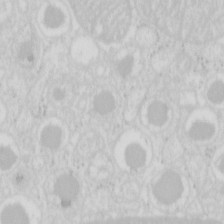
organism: Mouse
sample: Pancreas